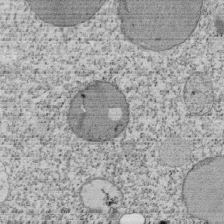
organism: Tetrahymena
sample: Cilia in tetrahymena